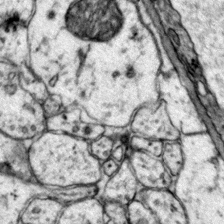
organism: Mouse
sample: Primary visual cortex